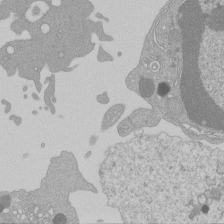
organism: Mouse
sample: Activated Pmel transgenic CD8+ T Cells